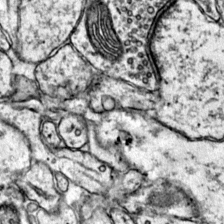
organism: Mouse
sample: Primary visual cortex